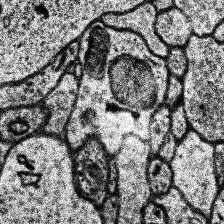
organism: Human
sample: Temporal Lobe